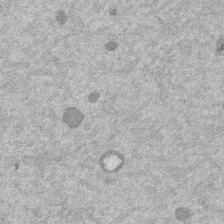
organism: Mouse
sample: Dividing mouse embryo 1 cell stage